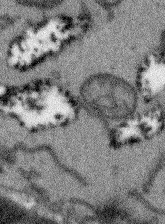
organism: Arabidopsis thaliana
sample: Root tip